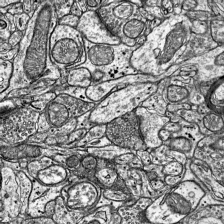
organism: Mouse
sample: Visual Cortex